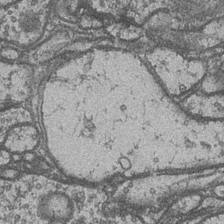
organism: Drosophila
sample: Optic medulla